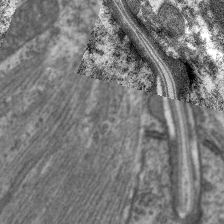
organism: C. elegans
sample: Pharynx